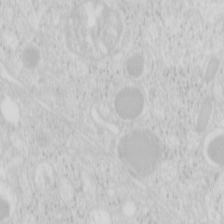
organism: Mouse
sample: Pancreas